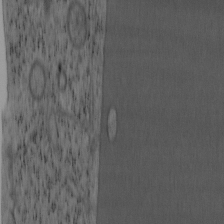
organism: Human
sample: HeLa cells